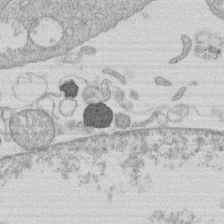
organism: Human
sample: Macrophage cells